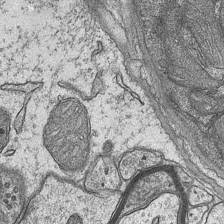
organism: Mouse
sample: CA1 Hippocampus